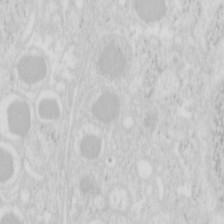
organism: Mouse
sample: Pancreas